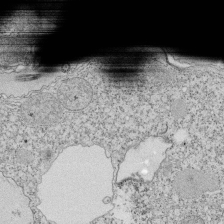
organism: Tetrahymena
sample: Cilia in tetrahymena